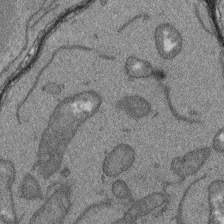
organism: Arabidopsis thaliana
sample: Root tip